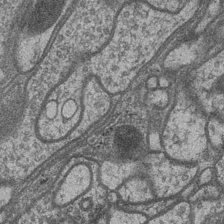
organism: Drosophila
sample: Optic medulla